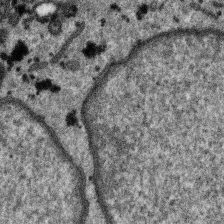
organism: Human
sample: Lung epithelial cells infected with SARS-CoV-2